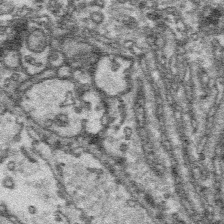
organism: Platynereis dumerilii